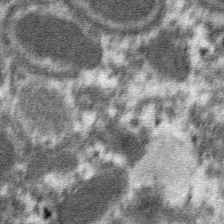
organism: Mouse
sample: Mouse hepatocytes